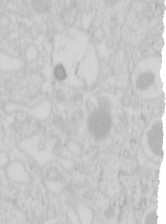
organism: Mouse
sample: Pancreas